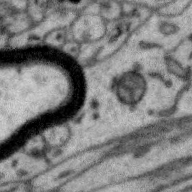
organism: Zebra finch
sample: Brain